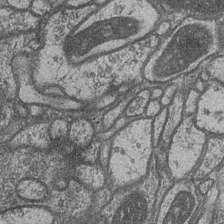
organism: Drosophila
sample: Optic medulla